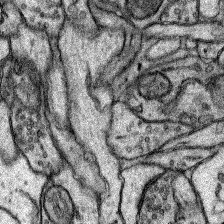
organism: Rat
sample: Hippocampus